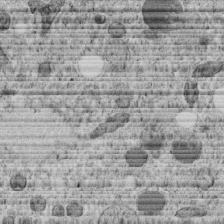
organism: C. elegans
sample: C. elegans embryo early stage